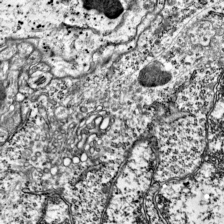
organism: Mouse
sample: Visual Cortex